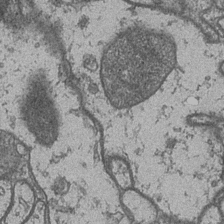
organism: Drosophila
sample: Optic medulla